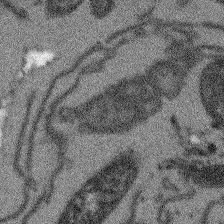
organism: Arabidopsis thaliana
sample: Root tip